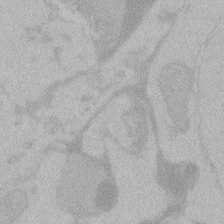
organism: Zebrafish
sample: Macrophage infected with Toxoplasma gondii